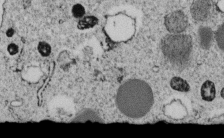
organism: C. elegans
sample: C. elegans embryo early stage